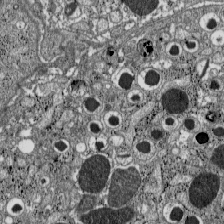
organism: C57BL Mouse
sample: Pancreatic islet